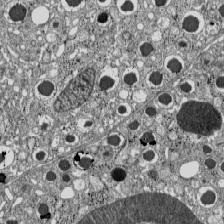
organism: C57BL Mouse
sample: Pancreatic islet